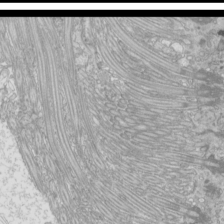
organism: Mouse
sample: Cilia; mouse epididymis